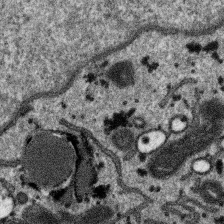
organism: Human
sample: Lung epithelial cells infected with SARS-CoV-2